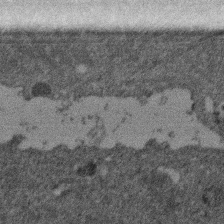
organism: Mouse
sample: Dividing mouse embryo 1 cell stage